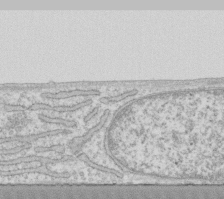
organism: Human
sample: Fibroblast cells